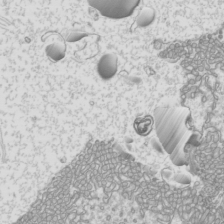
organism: Mouse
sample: Cilia; mouse epididymis